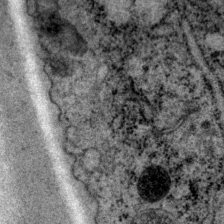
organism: P. pacificus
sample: Pharynx